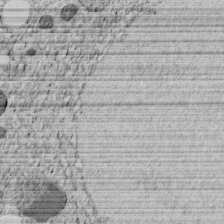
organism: C. elegans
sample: C. elegans embryo early stage